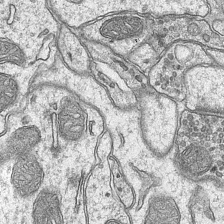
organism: Mouse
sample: CA1 Hippocampus